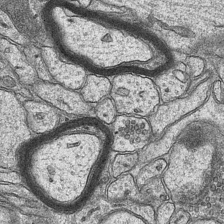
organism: Mouse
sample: CA1 Hippocampus